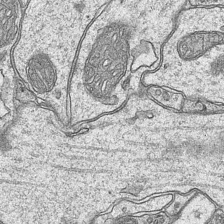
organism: Mouse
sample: CA1 Hippocampus